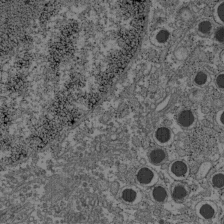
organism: C57BL Mouse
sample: Pancreatic islet